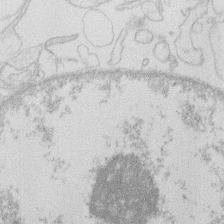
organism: Human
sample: Macrophage cells